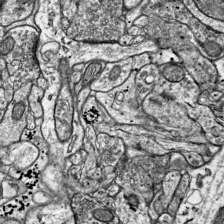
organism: Mouse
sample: Visual Cortex